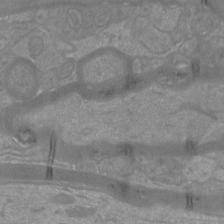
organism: Mouse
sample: Cortical neurons